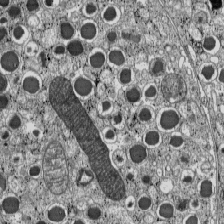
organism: C57BL Mouse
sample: Pancreatic islet